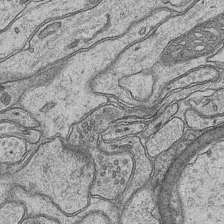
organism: Mouse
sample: CA1 Hippocampus